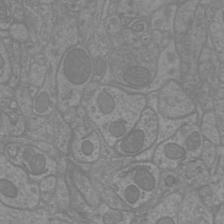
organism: Mouse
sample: Cortical neurons